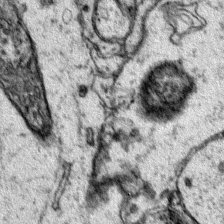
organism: Mouse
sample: Primary visual cortex